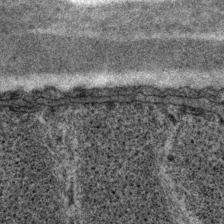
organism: P. pacificus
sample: Pharynx